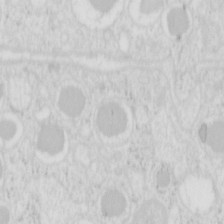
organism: Mouse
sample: Pancreas